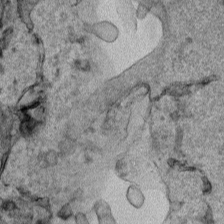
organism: Human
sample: Mitochondria in HCT116 cells